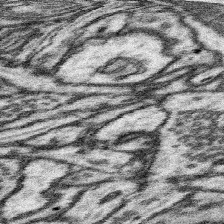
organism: Mouse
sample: Somatosensory cortex neuropil